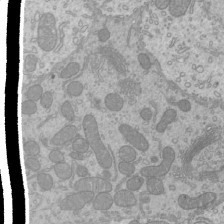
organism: Mouse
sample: Cilia; mouse epididymis